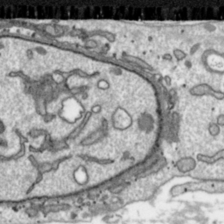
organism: Toxoplasma gondii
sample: Parasites in a vacuole inside a host cell